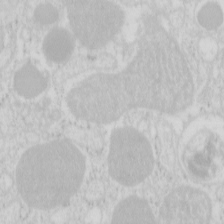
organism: Mouse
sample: Pancreas